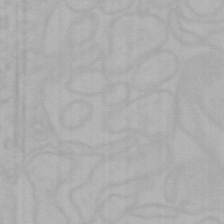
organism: Mouse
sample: Choroid plexus